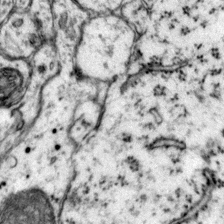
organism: Mouse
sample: Primary visual cortex